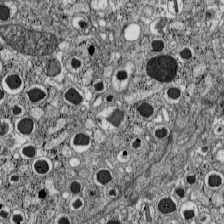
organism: C57BL Mouse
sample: Pancreatic islet